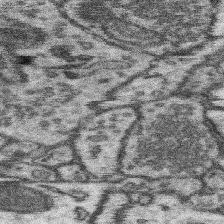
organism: Mouse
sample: Somatosensory cortex neuropil